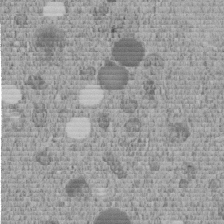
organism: C. elegans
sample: C. elegans embryo early stage